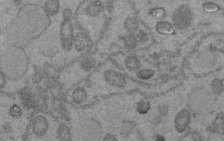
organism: C. elegans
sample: C. elegans embryo early stage